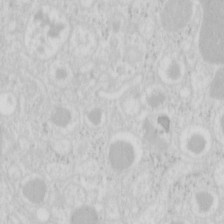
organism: Mouse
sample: Pancreas